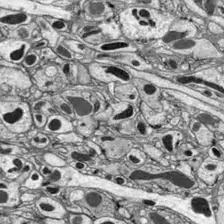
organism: Drosophila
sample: Optic lobe